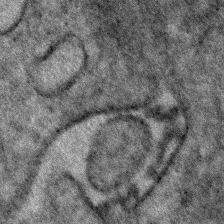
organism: Human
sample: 1205lu cells